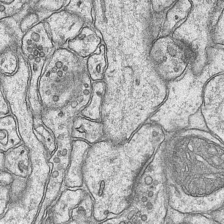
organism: Mouse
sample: CA1 Hippocampus